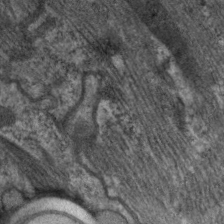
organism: C. elegans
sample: Pharynx